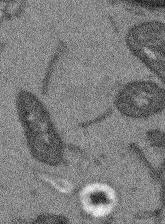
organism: Arabidopsis thaliana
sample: Root tip